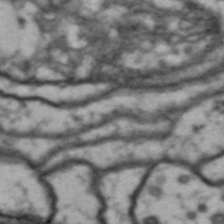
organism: Drosophila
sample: Brain